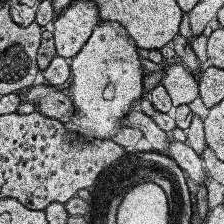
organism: Human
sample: Temporal Lobe